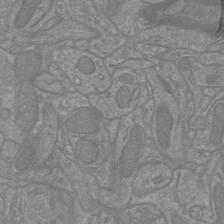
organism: Mouse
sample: Cortical neurons